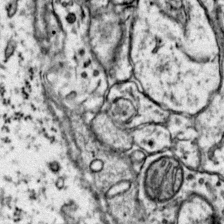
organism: Mouse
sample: Primary visual cortex